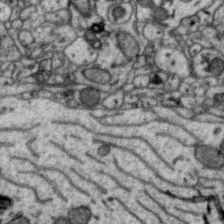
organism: Zebra finch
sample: Brain